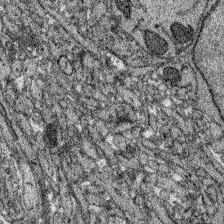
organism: Zebrafish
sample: Larval olfactory bulb